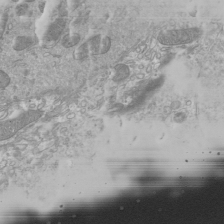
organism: Mouse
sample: Cilia; mouse epididymis